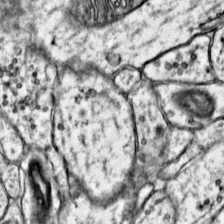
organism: Mouse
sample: Primary visual cortex